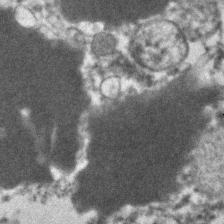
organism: Human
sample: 1205lu cells